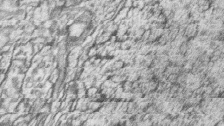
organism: Zebrafish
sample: synaptic ribbons in rod cells and cone cells